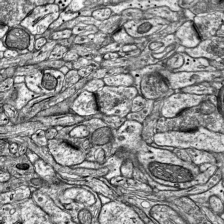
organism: Mouse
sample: Visual Cortex